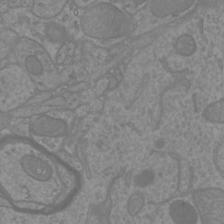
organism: Mouse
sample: Cortical neurons